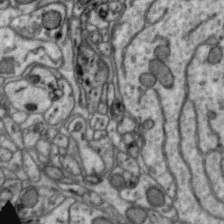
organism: Zebra finch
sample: Brain